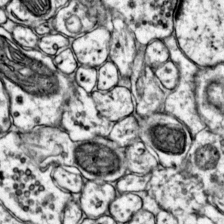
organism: Mouse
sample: Primary visual cortex